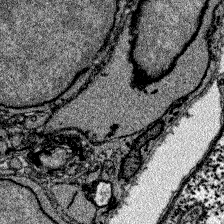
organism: Zebrafish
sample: Larval olfactory bulb